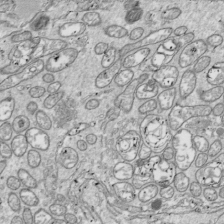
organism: Drosophila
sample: Cell division; meiosis; drosophila spermatocytes